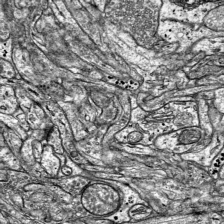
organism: Mouse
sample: Visual Cortex